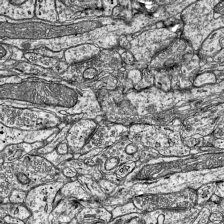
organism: Mouse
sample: Visual Cortex